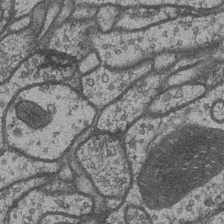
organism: Drosophila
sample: Optic medulla